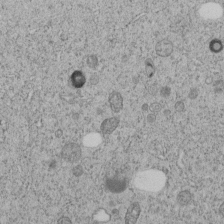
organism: C. elegans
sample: C. elegans embryo early stage